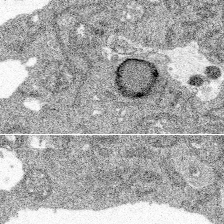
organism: Spongilla lacustris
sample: Multiple